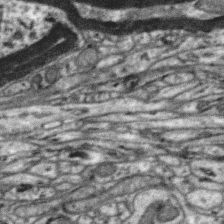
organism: Zebra finch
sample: Brain